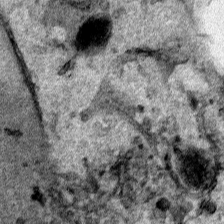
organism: Human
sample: Mitochondria in HCT116 cells